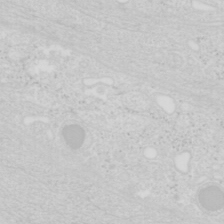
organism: Mouse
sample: Pancreas